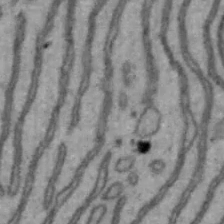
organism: Mouse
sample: Liver